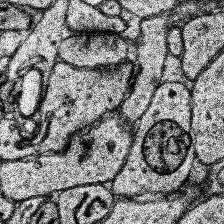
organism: Human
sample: Temporal Lobe